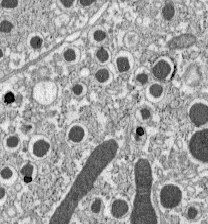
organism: C57BL Mouse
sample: Pancreatic islet